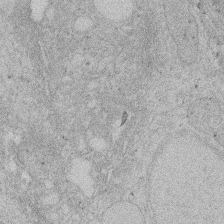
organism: Rat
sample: Salivary granule